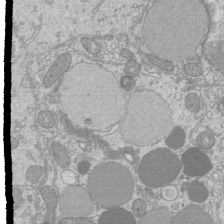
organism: Mouse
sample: Cilia; mouse epididymis